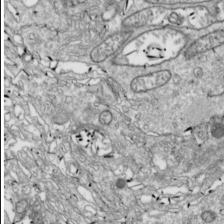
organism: Drosophila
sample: Cell division; meiosis; drosophila spermatocytes